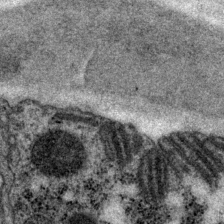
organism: P. pacificus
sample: Pharynx